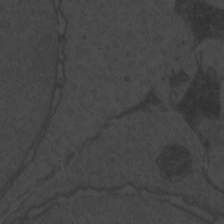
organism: Zebrafish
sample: Macrophage infected with Toxoplasma gondii